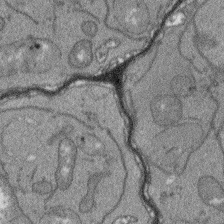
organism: Arabidopsis thaliana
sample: Root tip